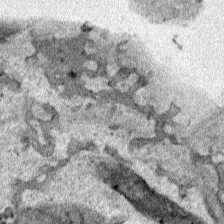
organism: Human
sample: Mitochondria in HCT116 cells